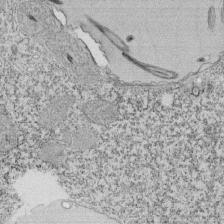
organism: Tetrahymena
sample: Cilia in tetrahymena